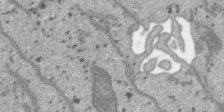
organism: Human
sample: Lung epithelial cells infected with SARS-CoV-2